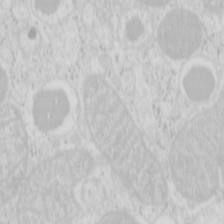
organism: Mouse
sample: Pancreas